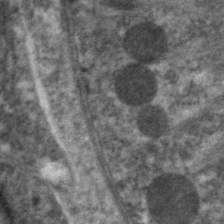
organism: C. elegans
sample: Pharynx